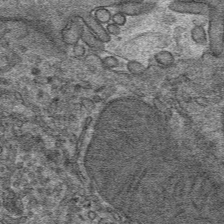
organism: Mouse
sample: Mouse hepatocytes